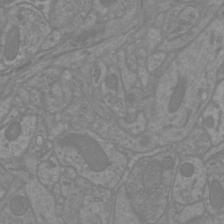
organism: Mouse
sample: Cortical neurons